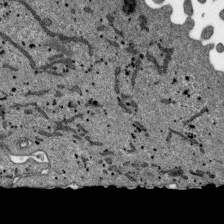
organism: Human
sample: Lung epithelial cells, uninfected (mock) control